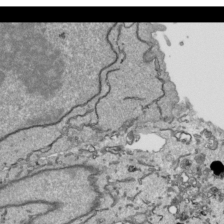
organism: Human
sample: Mitochondria in HCT116 cells